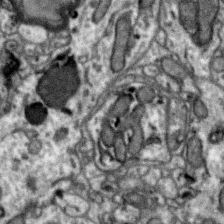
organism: Zebra finch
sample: Brain